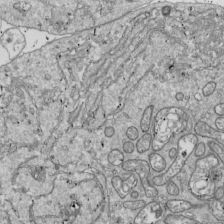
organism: Drosophila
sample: Cell division; meiosis; drosophila spermatocytes